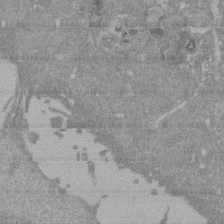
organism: Mouse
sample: ED-1 cell nuclei; centrioles